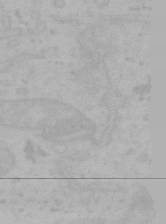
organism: Mouse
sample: Choroid plexus